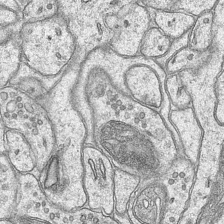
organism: Mouse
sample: CA1 Hippocampus